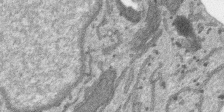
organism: Human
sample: Lung epithelial cells infected with SARS-CoV-2